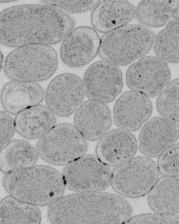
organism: E. coli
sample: Bacterial nucleoid